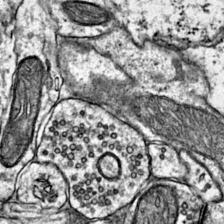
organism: Mouse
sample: Primary visual cortex